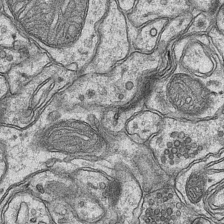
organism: Mouse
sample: CA1 Hippocampus